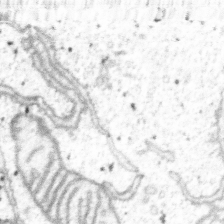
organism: Human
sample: HeLa cells